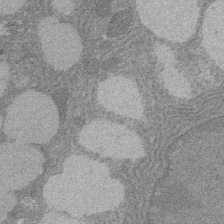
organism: Rat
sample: Salivary granule